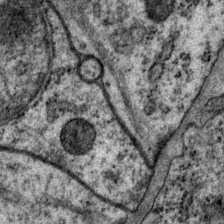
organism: P. pacificus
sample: Pharynx